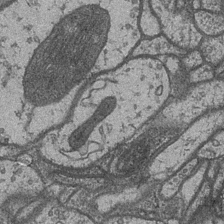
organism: Drosophila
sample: Optic medulla